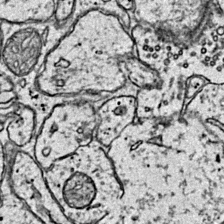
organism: Mouse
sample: Primary visual cortex